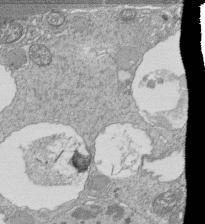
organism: Tetrahymena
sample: Cilia in tetrahymena